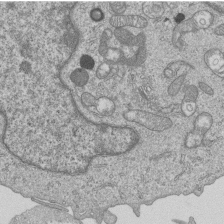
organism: Human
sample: MDA-MB-231 cells